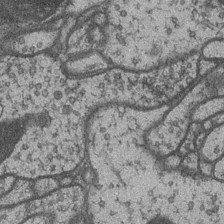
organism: Drosophila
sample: Optic medulla